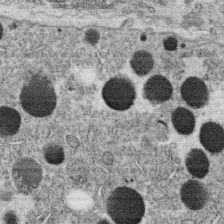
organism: C. elegans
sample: C. elegans oocyte; sperm cells